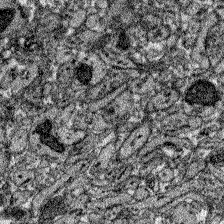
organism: Zebrafish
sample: Larval olfactory bulb